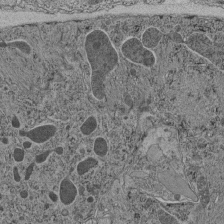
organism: C. elegans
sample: C. elegans pharynx